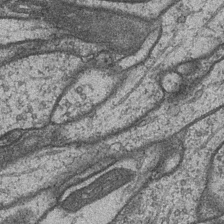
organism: Drosophila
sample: Optic medulla